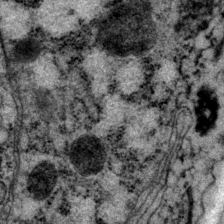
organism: P. pacificus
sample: Pharynx